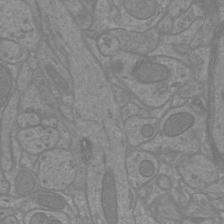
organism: Mouse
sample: Cortical neurons